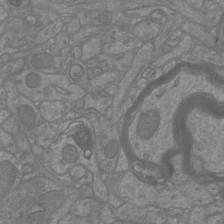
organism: Mouse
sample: Cortical neurons